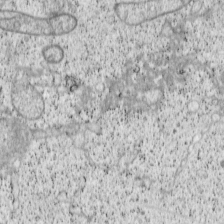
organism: African green monkey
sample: COS-7 cells